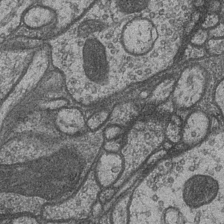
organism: Drosophila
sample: Optic medulla